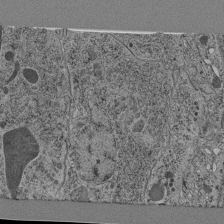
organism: C. elegans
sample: C. elegans pharynx